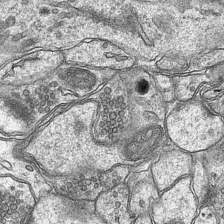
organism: Mouse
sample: CA1 Hippocampus